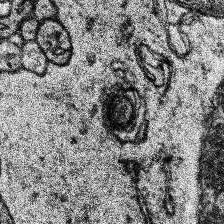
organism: Human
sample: Temporal Lobe